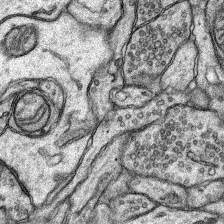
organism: Rat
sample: Hippocampus